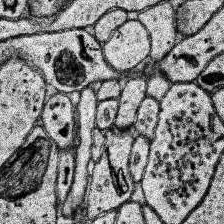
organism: Human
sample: Temporal Lobe